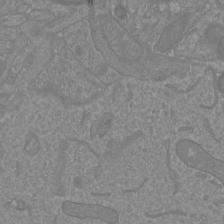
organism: Mouse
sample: Cortical neurons